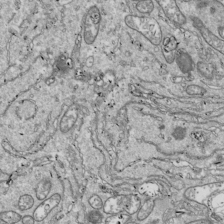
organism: Drosophila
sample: Cell division; meiosis; drosophila spermatocytes